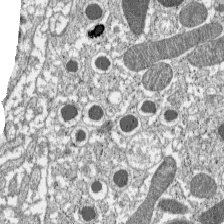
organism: C57BL Mouse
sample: Pancreatic islet